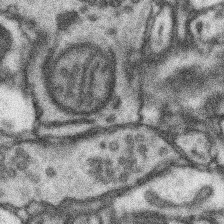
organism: Mouse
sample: Somatosensory cortex neuropil